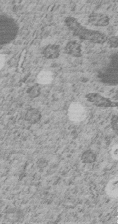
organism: C. elegans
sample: C. elegans embryo early stage